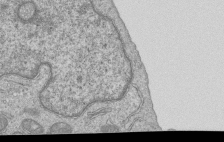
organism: Human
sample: MDA-MB-231 cells